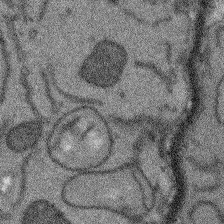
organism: Arabidopsis thaliana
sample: Root tip